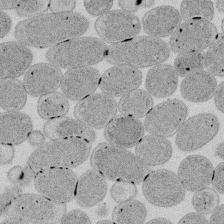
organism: E. coli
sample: Bacterial nucleoid